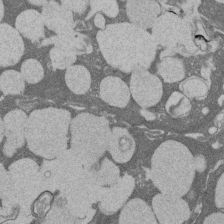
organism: Rat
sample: Salivary granule